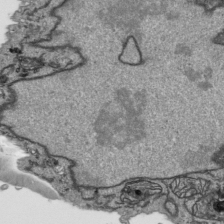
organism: Human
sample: Mitochondria in HCT116 cells